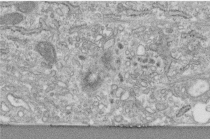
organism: Human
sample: Centriole in fibroblast cells